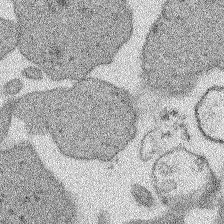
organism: Human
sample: HeLa cells